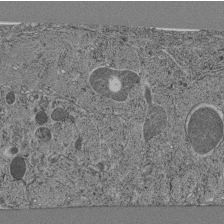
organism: C. elegans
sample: C. elegans pharynx